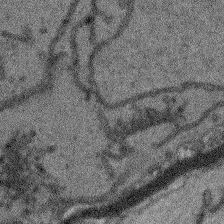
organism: Arabidopsis thaliana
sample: Root tip